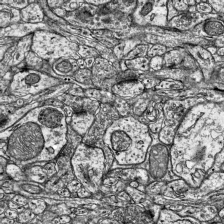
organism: Mouse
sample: Visual Cortex